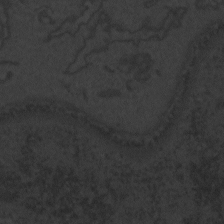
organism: Zebrafish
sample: Macrophage infected with Toxoplasma gondii